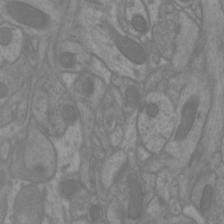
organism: Mouse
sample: Cortical neurons